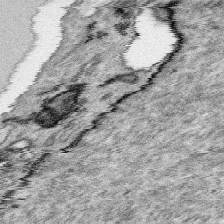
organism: Human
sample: HeLa cells